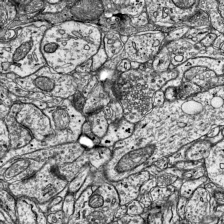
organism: Mouse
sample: Visual Cortex